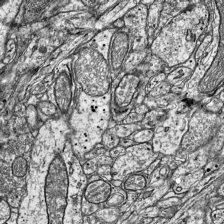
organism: Mouse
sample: Visual Cortex